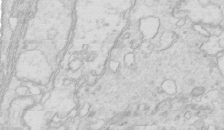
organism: Mouse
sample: Multiciliated cells